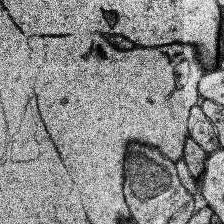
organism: Human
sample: Temporal Lobe